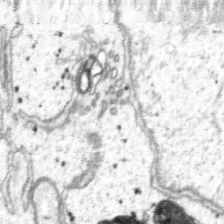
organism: Human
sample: HeLa cells